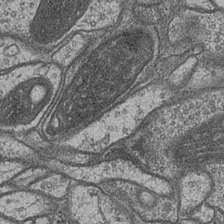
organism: Drosophila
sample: Optic medulla